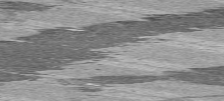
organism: C57BL Mouse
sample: Heart